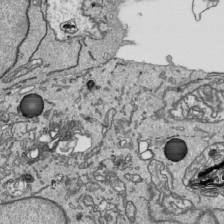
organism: Human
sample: Mitochondria in HCT116 cells